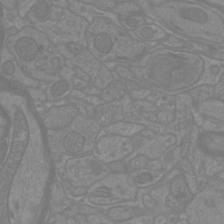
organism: Mouse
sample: Cortical neurons